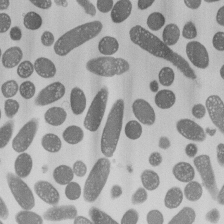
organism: E. coli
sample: Bacterial nucleoid